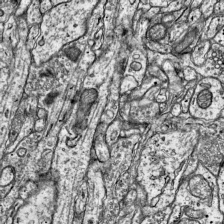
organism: Mouse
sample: Visual Cortex